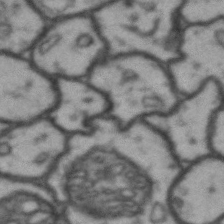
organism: Drosophila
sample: Brain